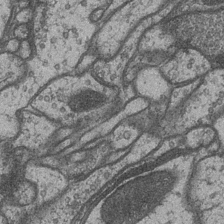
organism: Drosophila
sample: Optic medulla